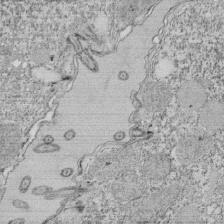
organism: Tetrahymena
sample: Cilia in tetrahymena